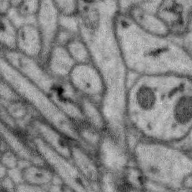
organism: Zebra finch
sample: Brain